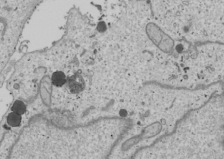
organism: Human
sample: Mitochondria in U2OS cells